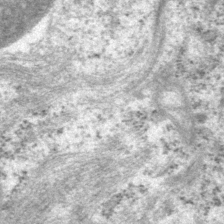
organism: P. pacificus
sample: Pharynx